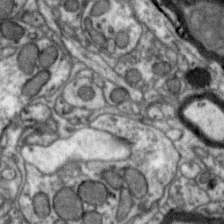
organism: Zebra finch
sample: Brain